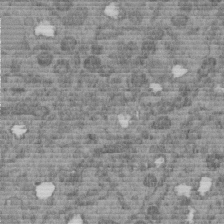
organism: C. elegans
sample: C. elegans embryo early stage